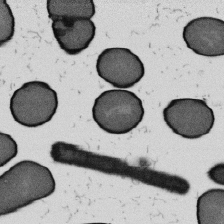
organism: B. subtilis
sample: Bacterial spore